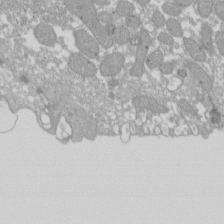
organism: Xenopus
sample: Cilia; centrioles in frog embryo cells